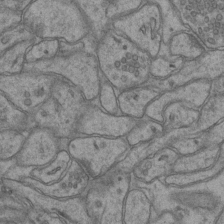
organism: Mouse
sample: CA1 Hippocampus